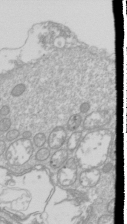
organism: Drosophila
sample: Cell division; meiosis; drosophila spermatocytes